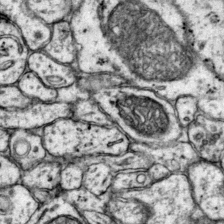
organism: Mouse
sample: Primary visual cortex